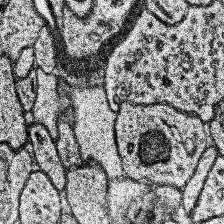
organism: Human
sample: Temporal Lobe